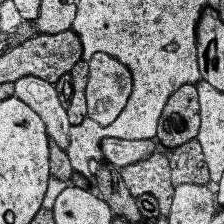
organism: Human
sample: Temporal Lobe